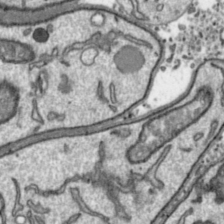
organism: Toxoplasma gondii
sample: Parasites in a vacuole inside a host cell